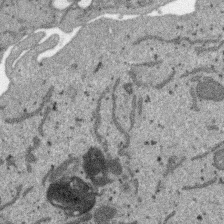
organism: Human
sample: Lung epithelial cells infected with SARS-CoV-2